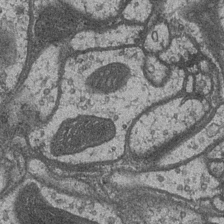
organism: Drosophila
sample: Optic medulla